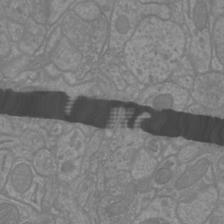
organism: Mouse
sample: Cortical neurons